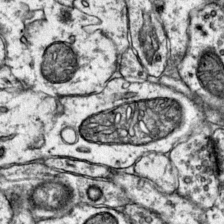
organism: Mouse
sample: Primary visual cortex